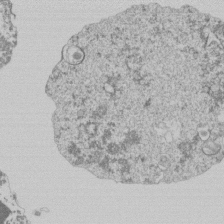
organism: Mouse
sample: Activated Pmel transgenic CD8+ T Cells